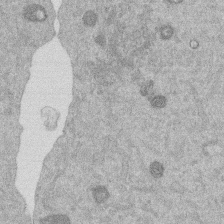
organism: Mouse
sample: Dividing mouse embryo 1 cell stage